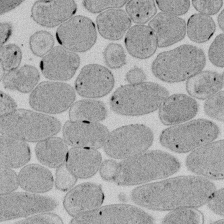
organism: E. coli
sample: Bacterial nucleoid